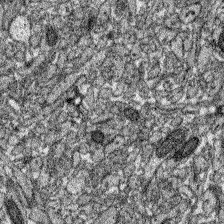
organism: Zebrafish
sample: Larval olfactory bulb